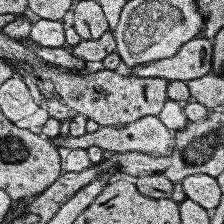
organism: Human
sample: Temporal Lobe